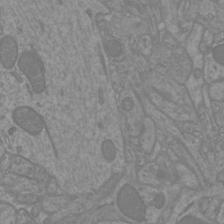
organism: Mouse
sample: Cortical neurons